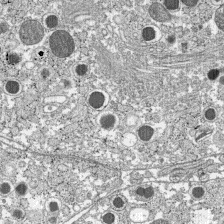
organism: C57BL Mouse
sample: Pancreatic islet